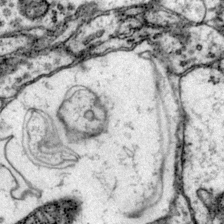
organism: Mouse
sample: Primary visual cortex